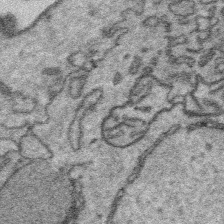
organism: Platynereis dumerilii